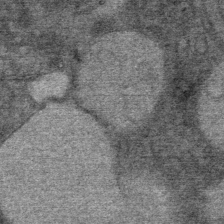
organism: Mouse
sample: Mouse Salivary gland